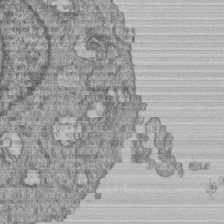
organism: Human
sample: MDA-MB-231 cells